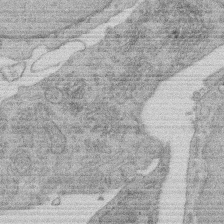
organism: Rat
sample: Salivary granule